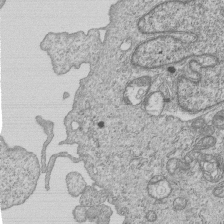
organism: Human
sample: MDA-MB-231 cells